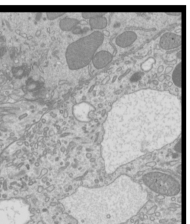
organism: Mouse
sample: Cilia; mouse epididymis